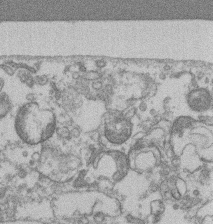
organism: Mouse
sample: T cell stromal cell synapse